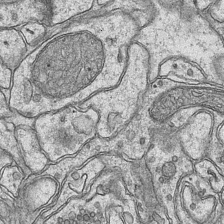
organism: Mouse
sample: CA1 Hippocampus